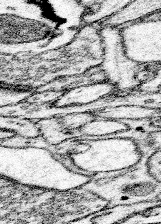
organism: Mouse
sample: Somatosensory cortex neuropil